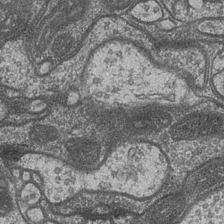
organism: Drosophila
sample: Optic medulla